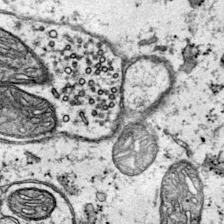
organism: Mouse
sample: Primary visual cortex